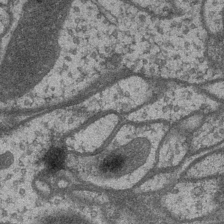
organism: Drosophila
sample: Optic medulla